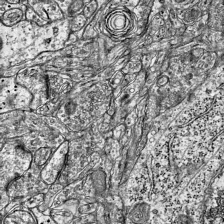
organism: Mouse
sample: Visual Cortex